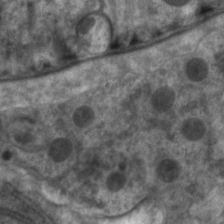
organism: C. elegans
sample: Pharynx